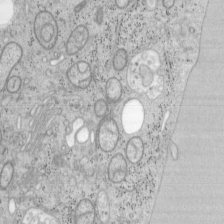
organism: Mouse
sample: OT-I killer T cells with ID8 ovarian cancer cells